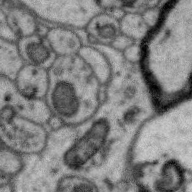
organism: Zebra finch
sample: Brain